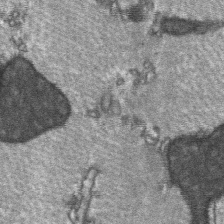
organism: C57BL Mouse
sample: Soleus